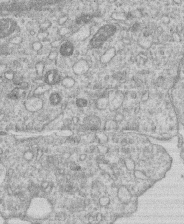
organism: Human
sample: Macrophage cells